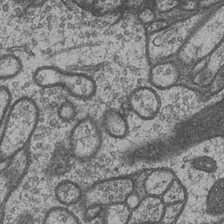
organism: Drosophila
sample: Optic medulla